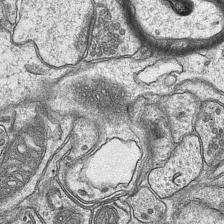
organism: Mouse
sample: CA1 Hippocampus